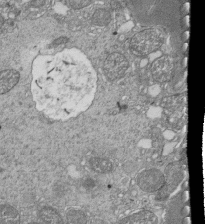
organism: Tetrahymena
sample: Cilia in tetrahymena